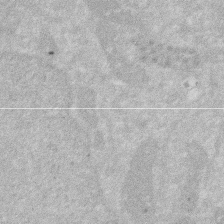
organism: Human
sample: HIV infected U937 cells